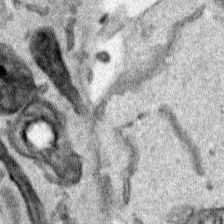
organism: Human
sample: Mitochondria in HCT116 cells